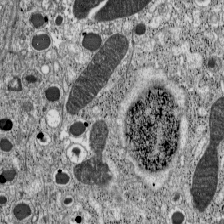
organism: C57BL Mouse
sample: Pancreatic islet